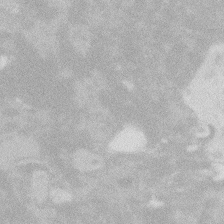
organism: Zebrafish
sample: Macrophage